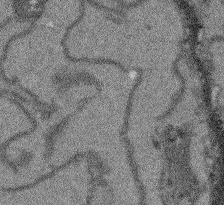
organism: Arabidopsis thaliana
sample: Root tip